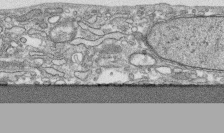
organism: Human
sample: CRL-1474